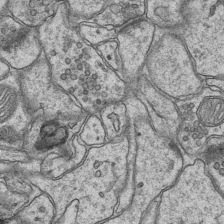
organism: Mouse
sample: CA1 Hippocampus